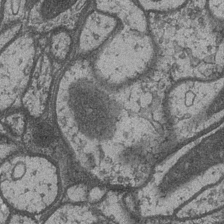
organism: Drosophila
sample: Optic medulla